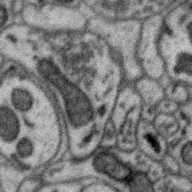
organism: Zebra finch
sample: Brain